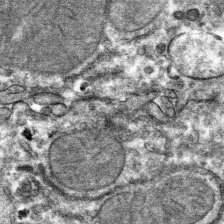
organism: Mouse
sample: Mouse hepatocytes